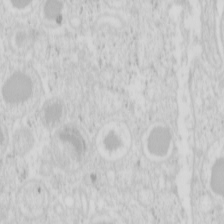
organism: Mouse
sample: Pancreas